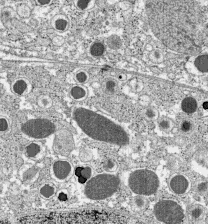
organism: C57BL Mouse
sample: Pancreatic islet